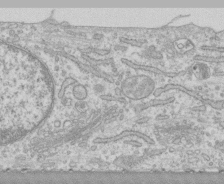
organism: Human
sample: CRL-1474